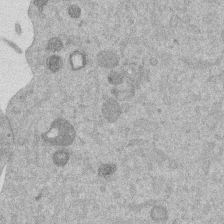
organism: Mouse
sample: Dividing mouse embryo 1 cell stage